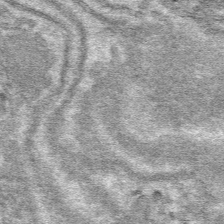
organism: Mouse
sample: Mouse hepatocytes